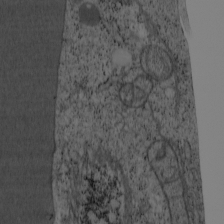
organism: African green monkey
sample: COS-7 cells